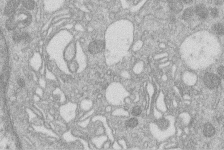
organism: Human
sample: Macrophage cells